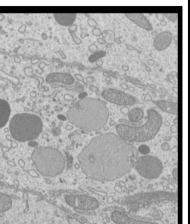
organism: Mouse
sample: Cilia; mouse epididymis